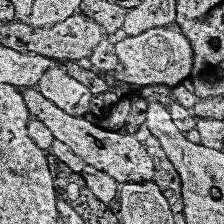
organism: Human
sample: Temporal Lobe